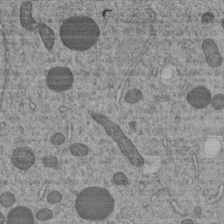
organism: C. elegans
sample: C. elegans embryo early stage